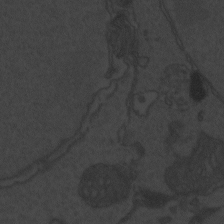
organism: Zebrafish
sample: Macrophage infected with Toxoplasma gondii